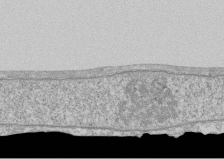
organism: Human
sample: CRL-1474